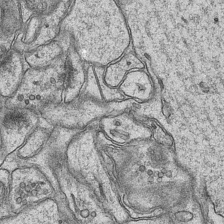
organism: Mouse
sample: CA1 Hippocampus